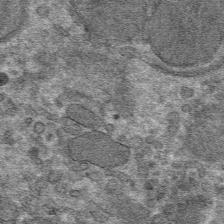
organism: Mouse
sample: Mouse hepatocytes